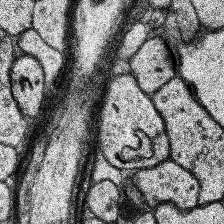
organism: Human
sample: Temporal Lobe